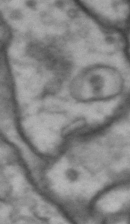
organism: Drosophila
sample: Brain